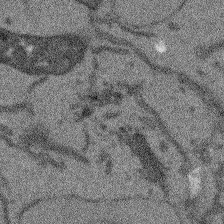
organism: Arabidopsis thaliana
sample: Root tip